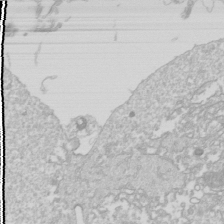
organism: Drosophila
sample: Cell division; meiosis; drosophila spermatocytes